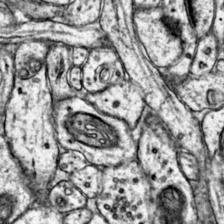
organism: Mouse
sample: Primary visual cortex